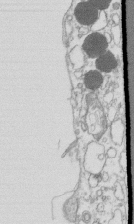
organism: Mouse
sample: Macrophages